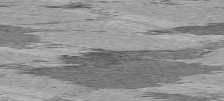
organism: C57BL Mouse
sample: Heart